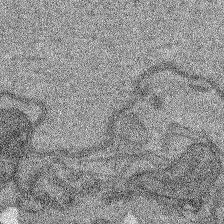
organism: Human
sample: HeLa cells